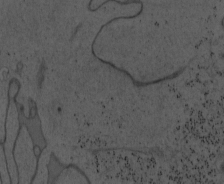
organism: Mouse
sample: OT-I killer T cells with ID8 ovarian cancer cells